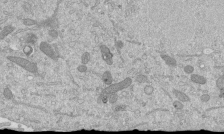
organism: Mouse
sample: ED-1 cell nuclei; centrioles